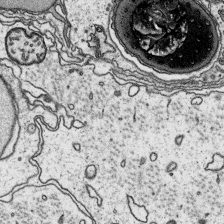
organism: Platynereis dumerilii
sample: Parapodia